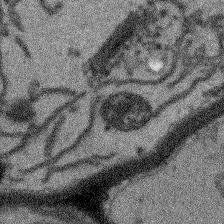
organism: Arabidopsis thaliana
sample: Root tip